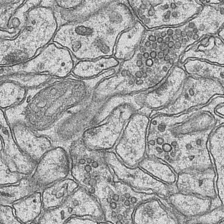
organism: Mouse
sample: CA1 Hippocampus